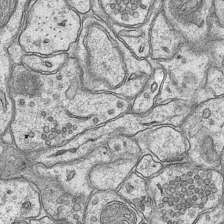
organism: Mouse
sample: CA1 Hippocampus